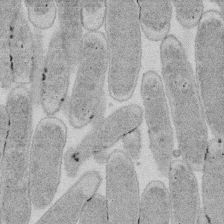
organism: E. coli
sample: Bacterial nucleoid